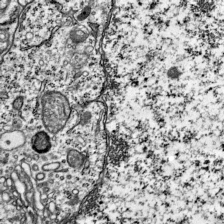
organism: Mouse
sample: Visual Cortex